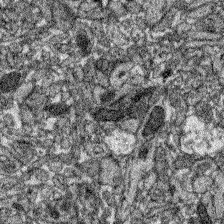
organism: Zebrafish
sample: Larval olfactory bulb